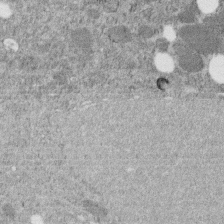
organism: C. elegans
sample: C. elegans embryo early stage